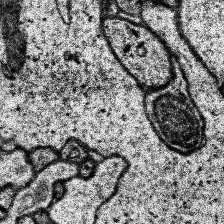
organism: Human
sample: Temporal Lobe